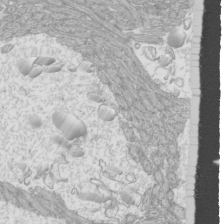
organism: Mouse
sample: Cilia; mouse epididymis